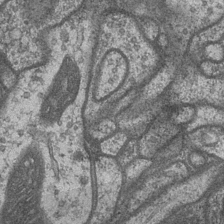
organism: Drosophila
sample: Optic medulla